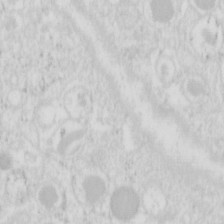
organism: Mouse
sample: Pancreas